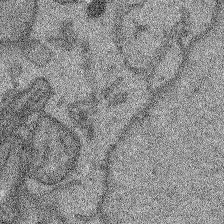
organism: Human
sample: HeLa cells